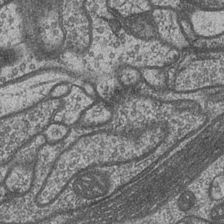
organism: Drosophila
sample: Optic medulla